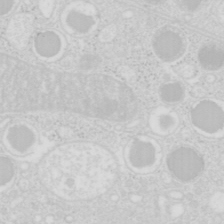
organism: Mouse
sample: Pancreas